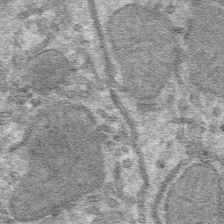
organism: Mouse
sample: Mouse hepatocytes